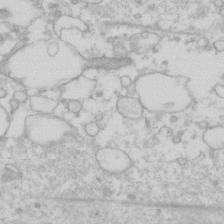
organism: Human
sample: Fibroblast cells